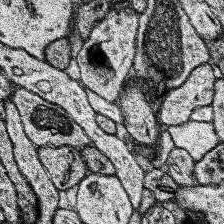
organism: Human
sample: Temporal Lobe